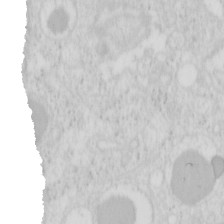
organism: Mouse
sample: Pancreas